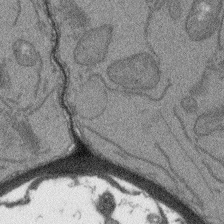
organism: Arabidopsis thaliana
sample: Root tip